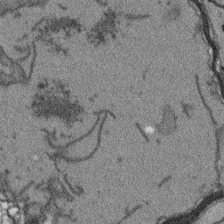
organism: Arabidopsis thaliana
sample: Root tip